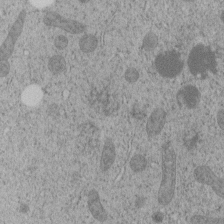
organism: C. elegans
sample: C. elegans embryo early stage